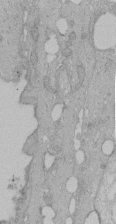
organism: Human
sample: Melanocyte Keratinocyte synapse skin construct